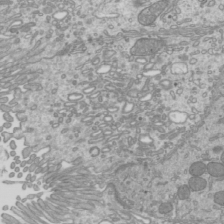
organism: Mouse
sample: Cilia; mouse epididymis